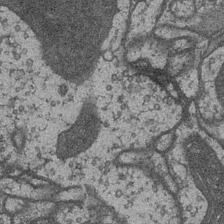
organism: Drosophila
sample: Optic medulla